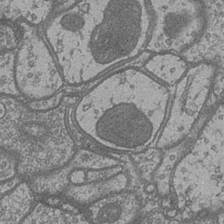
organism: Drosophila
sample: Optic medulla